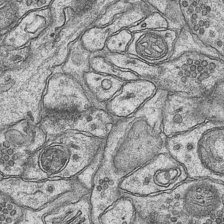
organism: Mouse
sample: CA1 Hippocampus